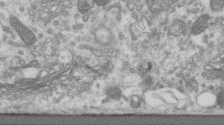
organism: Human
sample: Centriole in RPE cells